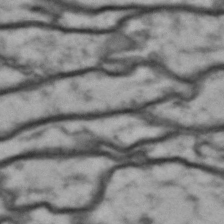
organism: Drosophila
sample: Brain